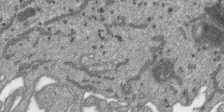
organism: Human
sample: Lung epithelial cells infected with SARS-CoV-2